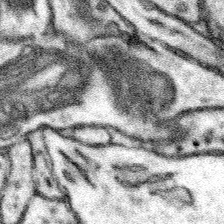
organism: Mouse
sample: Somatosensory cortex neuropil